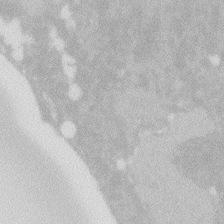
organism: Zebrafish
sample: Macrophage